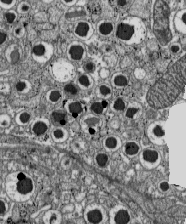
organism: C57BL Mouse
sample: Pancreatic islet